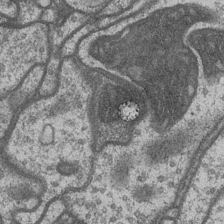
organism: Drosophila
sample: Optic medulla